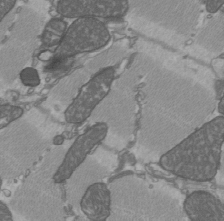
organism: C57BL Mouse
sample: Heart